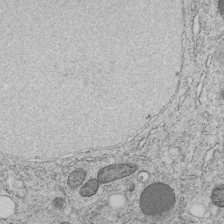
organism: C. elegans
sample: C. elegans embryo early stage